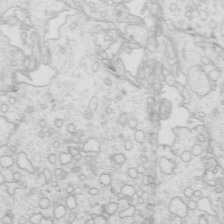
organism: Mouse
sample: Multiciliated cells